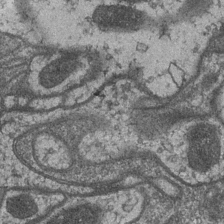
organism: Drosophila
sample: Optic medulla